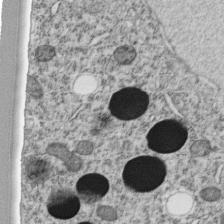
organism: C. elegans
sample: C. elegans embryo early stage